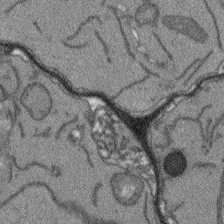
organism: Arabidopsis thaliana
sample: Root tip